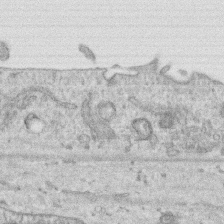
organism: Human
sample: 1205lu cells